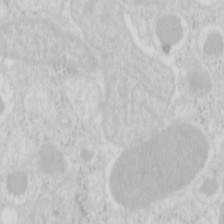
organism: Mouse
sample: Pancreas